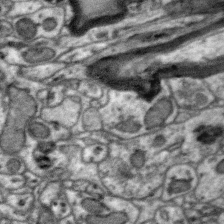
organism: Zebra finch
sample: Brain